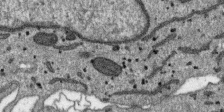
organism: Human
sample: Lung epithelial cells, uninfected (mock) control